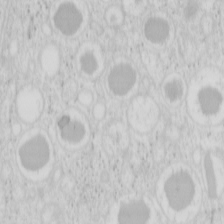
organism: Mouse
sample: Pancreas